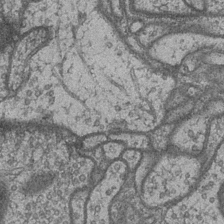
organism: Drosophila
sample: Optic medulla